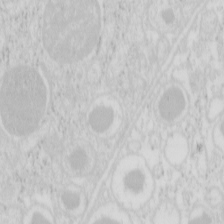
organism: Mouse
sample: Pancreas